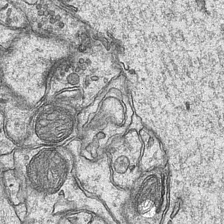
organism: Mouse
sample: CA1 Hippocampus